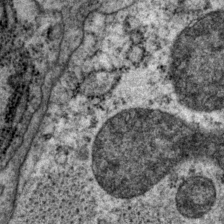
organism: P. pacificus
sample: Pharynx